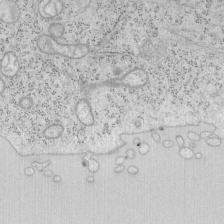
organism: Mouse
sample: OT-I killer T cells with ID8 ovarian cancer cells